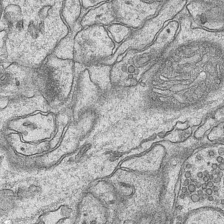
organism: Mouse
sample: CA1 Hippocampus